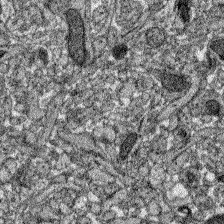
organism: Zebrafish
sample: Larval olfactory bulb